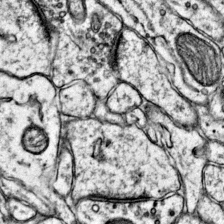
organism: Mouse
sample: Primary visual cortex